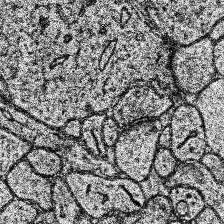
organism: Human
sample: Temporal Lobe